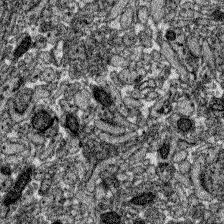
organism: Zebrafish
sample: Larval olfactory bulb